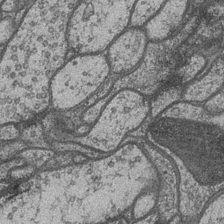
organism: Drosophila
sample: Optic medulla